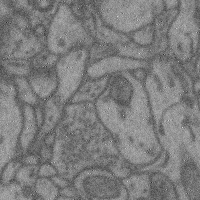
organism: Mouse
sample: Cerebral cortex